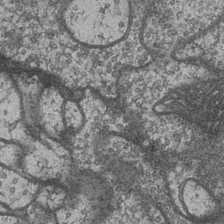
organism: Drosophila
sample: Optic medulla